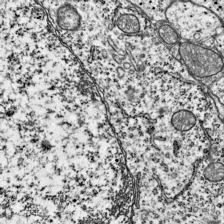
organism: Mouse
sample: Visual Cortex